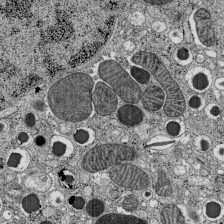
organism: C57BL Mouse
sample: Pancreatic islet